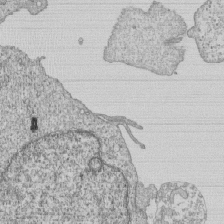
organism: Human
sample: MDA-MB-231 cells